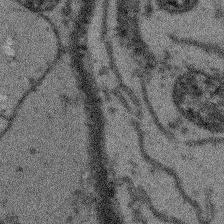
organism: Arabidopsis thaliana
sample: Root tip